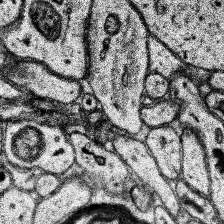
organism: Human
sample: Temporal Lobe